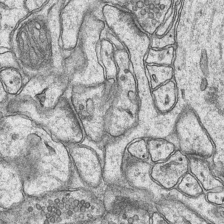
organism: Mouse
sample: CA1 Hippocampus